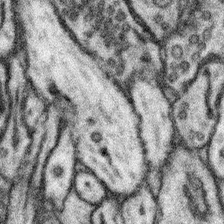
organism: Mouse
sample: Somatosensory cortex neuropil